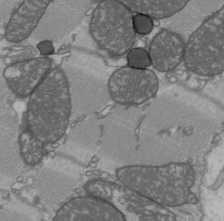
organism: C57BL Mouse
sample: Heart